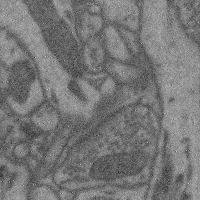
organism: Mouse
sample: Cerebral cortex